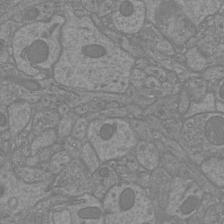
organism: Mouse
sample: Cortical neurons